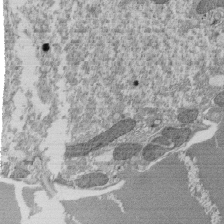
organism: Tetrahymena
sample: Cilia in tetrahymena